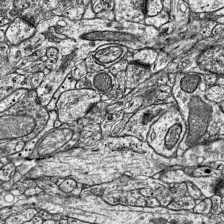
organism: Mouse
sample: Visual Cortex